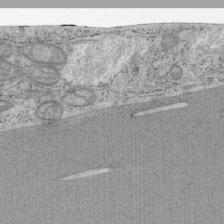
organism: Human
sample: HeLa cells